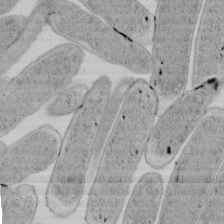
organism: E. coli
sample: Bacterial nucleoid